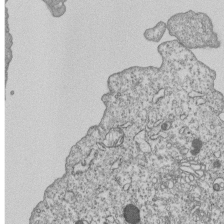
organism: Human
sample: MDA-MB-231 cells